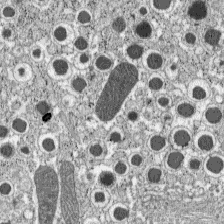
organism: C57BL Mouse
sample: Pancreatic islet